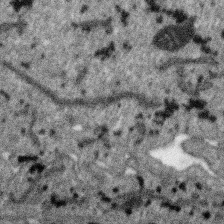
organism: Human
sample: Lung epithelial cells infected with SARS-CoV-2